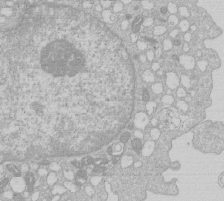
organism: Human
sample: Macrophage cells